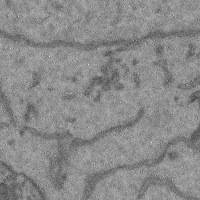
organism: Mouse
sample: Cerebral cortex